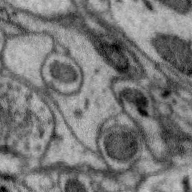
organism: Zebra finch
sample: Brain